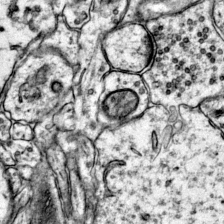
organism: Mouse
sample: Primary visual cortex